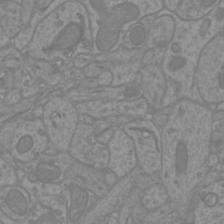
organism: Mouse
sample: Cortical neurons